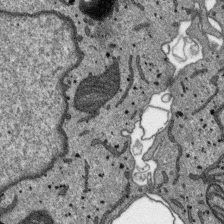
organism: Human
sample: Lung epithelial cells, uninfected (mock) control